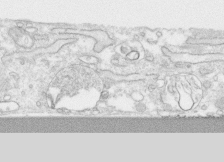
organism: Human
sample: CRL-1474